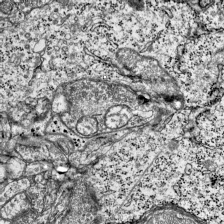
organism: Mouse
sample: Visual Cortex